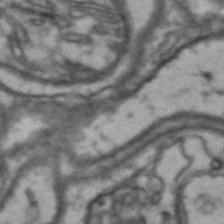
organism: Drosophila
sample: Brain